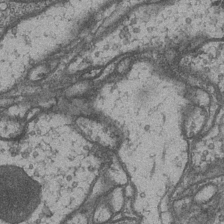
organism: Drosophila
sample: Optic medulla